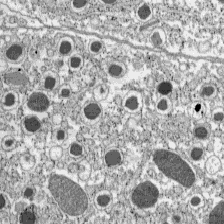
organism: C57BL Mouse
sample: Pancreatic islet